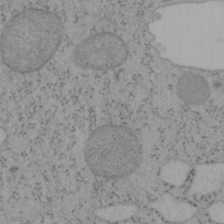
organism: Mouse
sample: OT-I killer T cells with ID8 ovarian cancer cells